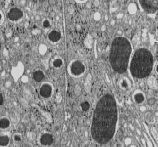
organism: C57BL Mouse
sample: Pancreatic islet